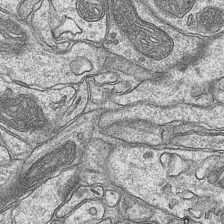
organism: Mouse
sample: CA1 Hippocampus